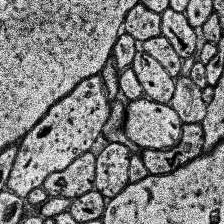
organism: Human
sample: Temporal Lobe